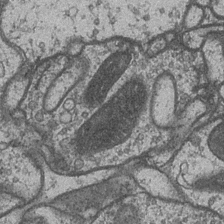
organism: Drosophila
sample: Optic medulla